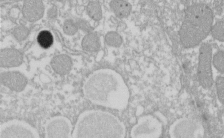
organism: Xenopus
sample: Cilia; centrioles in frog embryo cells